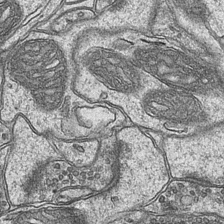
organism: Mouse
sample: CA1 Hippocampus